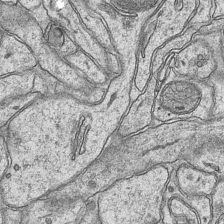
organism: Mouse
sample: CA1 Hippocampus